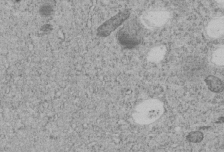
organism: C. elegans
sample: C. elegans embryo early stage